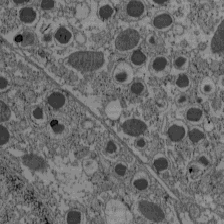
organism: C57BL Mouse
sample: Pancreatic islet